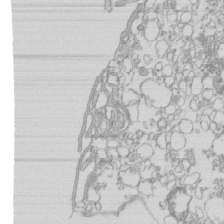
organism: Mouse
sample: Macrophages